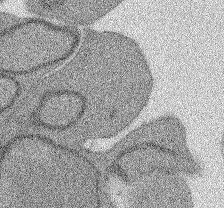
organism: Human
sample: HeLa cells